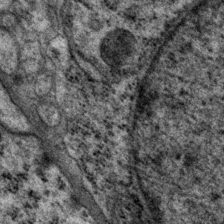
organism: P. pacificus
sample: Pharynx